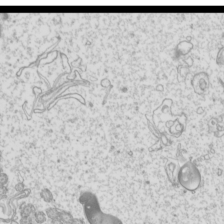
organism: Mouse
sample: Cilia; mouse epididymis